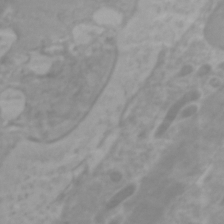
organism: Zebrafish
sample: Zebrafish embryo